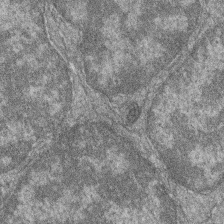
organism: Zebrafish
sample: Cilia; retinal pigment epithelium